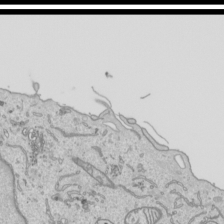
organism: Human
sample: Mitochondria in HCT116 cells